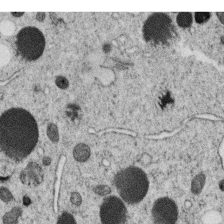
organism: C. elegans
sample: C. elegans oocyte; sperm cells